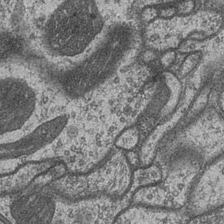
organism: Drosophila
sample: Optic medulla